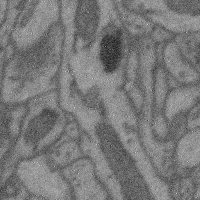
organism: Mouse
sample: Cerebral cortex